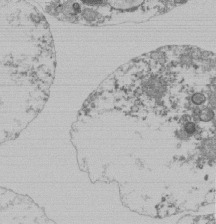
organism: Mouse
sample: Activated Pmel transgenic CD8+ T Cells